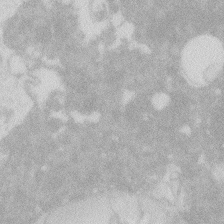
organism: Zebrafish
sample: Macrophage